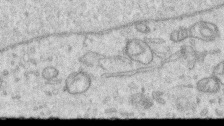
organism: Human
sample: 1205lu cells